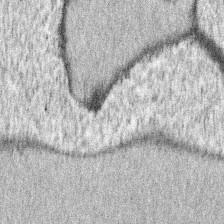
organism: Human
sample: HeLa cells